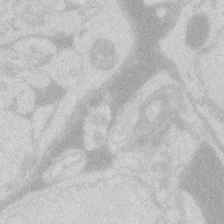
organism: Zebrafish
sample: Macrophage